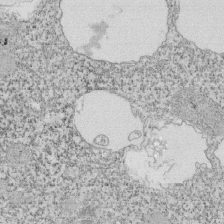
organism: Tetrahymena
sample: Cilia in tetrahymena